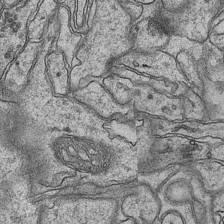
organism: Mouse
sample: CA1 Hippocampus